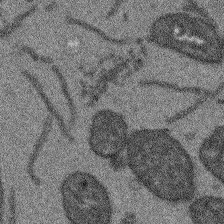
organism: Arabidopsis thaliana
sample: Root tip